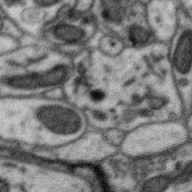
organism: Zebra finch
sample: Brain